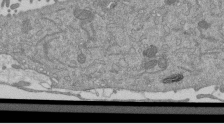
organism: Mouse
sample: ED-1 cell nuclei; centrioles